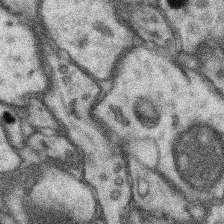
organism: Mouse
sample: Somatosensory cortex neuropil